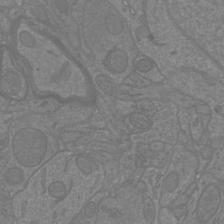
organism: Mouse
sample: Cortical neurons